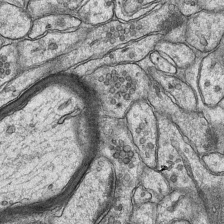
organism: Mouse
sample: CA1 Hippocampus